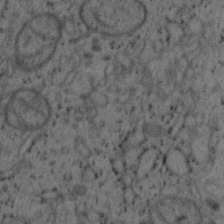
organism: Human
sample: HeLa cells